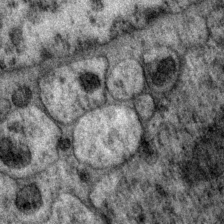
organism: P. pacificus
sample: Pharynx